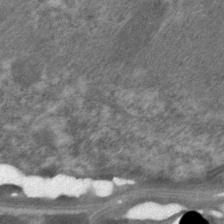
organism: C. elegans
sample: Pharynx